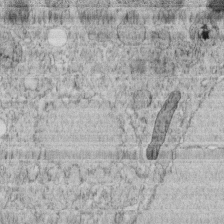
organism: C. elegans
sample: C. elegans embryo early stage